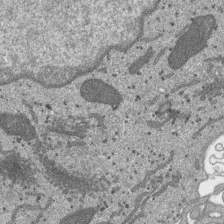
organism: Human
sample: Lung epithelial cells infected with SARS-CoV-2